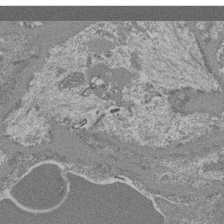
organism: Mouse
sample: Glomerulus